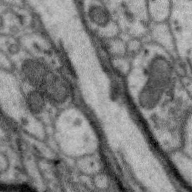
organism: Zebra finch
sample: Brain